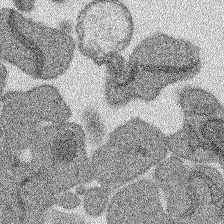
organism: Human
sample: HeLa cells